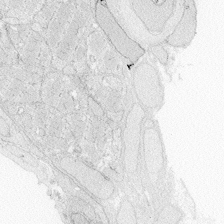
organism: Zebrafish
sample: Whole-Brain